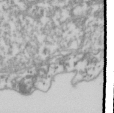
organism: Drosophila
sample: Cell division; meiosis; drosophila spermatocytes